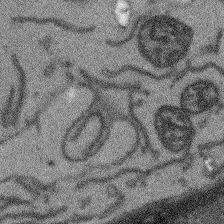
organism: Arabidopsis thaliana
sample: Root tip